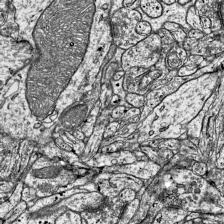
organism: Mouse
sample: Visual Cortex